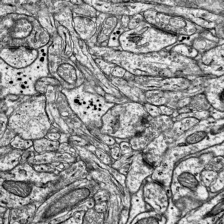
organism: Mouse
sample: Visual Cortex